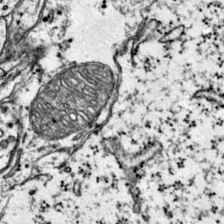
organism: Mouse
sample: Primary visual cortex